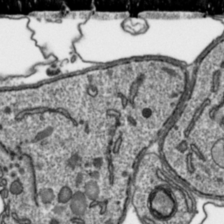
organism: Toxoplasma gondii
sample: Parasites in a vacuole inside a host cell